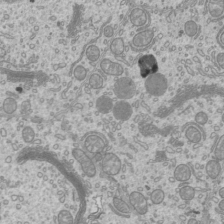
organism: Mouse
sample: Cilia; mouse epididymis